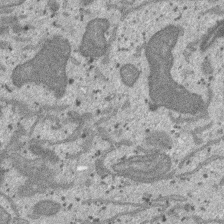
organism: Human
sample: Lung epithelial cells infected with SARS-CoV-2